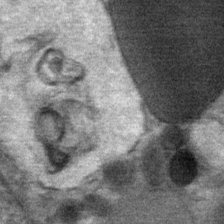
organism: Mouse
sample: Mouse Salivary gland